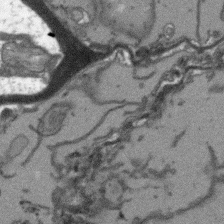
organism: Arabidopsis thaliana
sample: Root tip